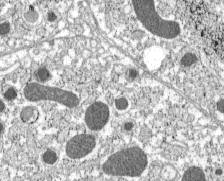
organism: C57BL Mouse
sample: Pancreatic islet